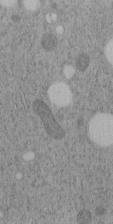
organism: C. elegans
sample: C. elegans embryo early stage